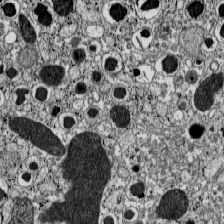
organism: C57BL Mouse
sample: Pancreatic islet